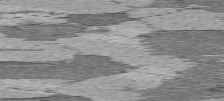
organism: C57BL Mouse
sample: Heart